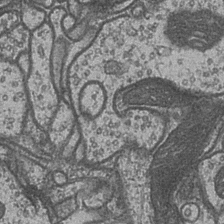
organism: Drosophila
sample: Optic medulla